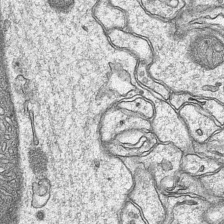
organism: Mouse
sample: CA1 Hippocampus